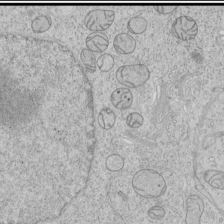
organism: Human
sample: Mitochondria in HCT116 cells